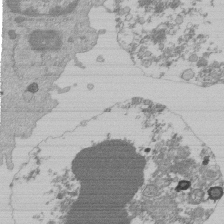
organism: Mouse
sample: Activated Pmel transgenic CD8+ T Cells